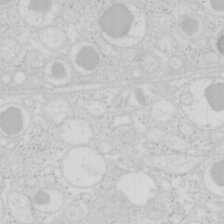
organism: Mouse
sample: Pancreas